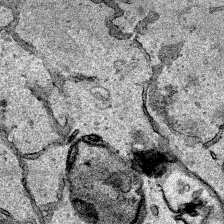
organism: Human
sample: Mitochondria in HCT116 cells